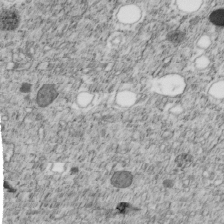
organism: C. elegans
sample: C. elegans embryo early stage